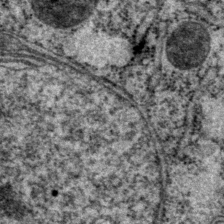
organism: P. pacificus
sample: Pharynx